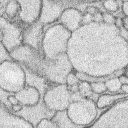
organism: Rabbit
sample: Retina